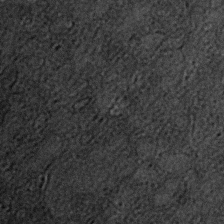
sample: Trachea